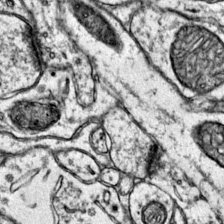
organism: Mouse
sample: Primary visual cortex